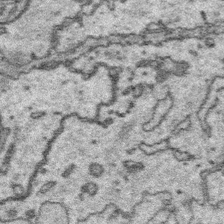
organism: Platynereis dumerilii